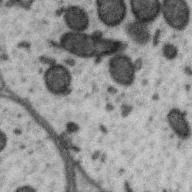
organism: Zebra finch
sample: Brain